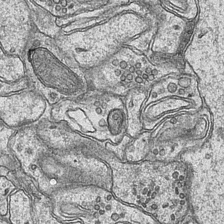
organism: Mouse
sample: CA1 Hippocampus